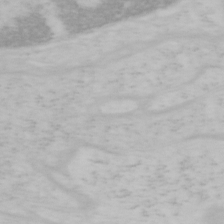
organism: Mouse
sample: OT-I killer T cells with ID8 ovarian cancer cells